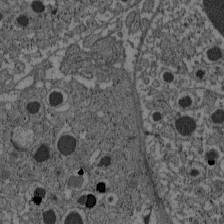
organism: C57BL Mouse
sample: Pancreatic islet